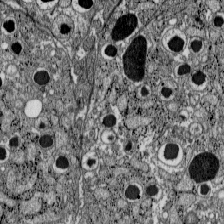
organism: C57BL Mouse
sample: Pancreatic islet